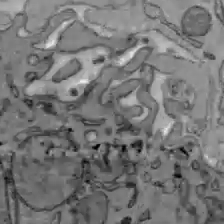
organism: C57BL Mouse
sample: Liver